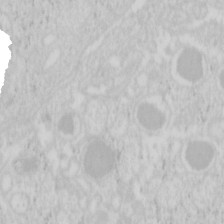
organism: Mouse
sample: Pancreas